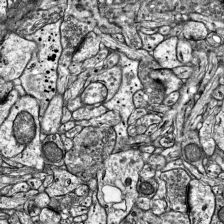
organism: Mouse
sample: Visual Cortex